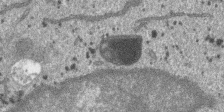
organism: Human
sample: Lung epithelial cells infected with SARS-CoV-2